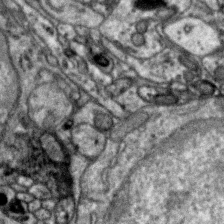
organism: Zebra finch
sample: Brain